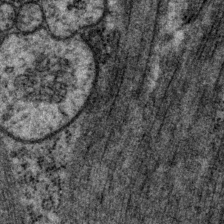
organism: P. pacificus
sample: Pharynx